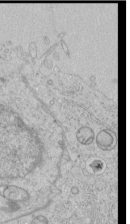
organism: Human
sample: Mitochondria in HCT116 cells